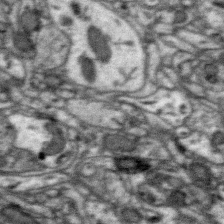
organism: Zebra finch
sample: Brain